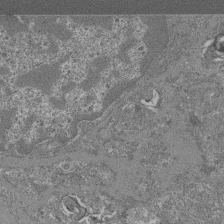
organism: Mouse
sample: Glomerulus